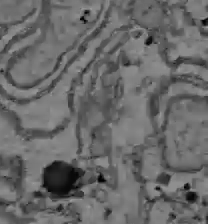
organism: C57BL Mouse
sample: Liver